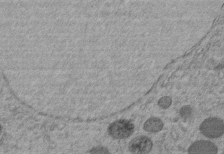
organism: C. elegans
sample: C. elegans embryo early stage